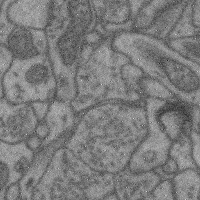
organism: Mouse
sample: Cerebral cortex